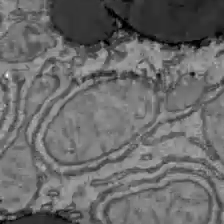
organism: C57BL Mouse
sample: Liver